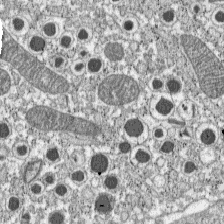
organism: C57BL Mouse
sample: Pancreatic islet